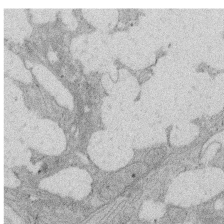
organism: Rat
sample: Salivary granule